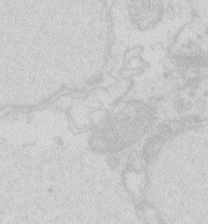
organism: Zebrafish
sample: Macrophage